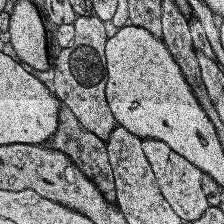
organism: Human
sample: Temporal Lobe